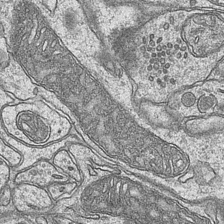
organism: Mouse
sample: CA1 Hippocampus